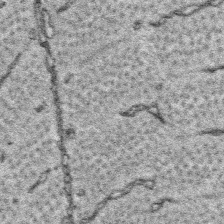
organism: Platynereis dumerilii